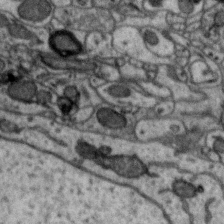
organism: Zebra finch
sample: Brain